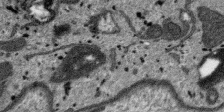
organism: Human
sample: Lung epithelial cells, uninfected (mock) control